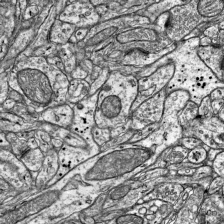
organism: Mouse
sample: Visual Cortex